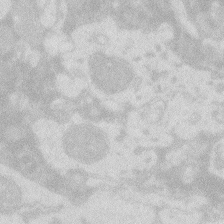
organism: Zebrafish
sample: Macrophage